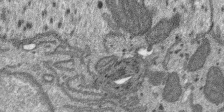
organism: Human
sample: Lung epithelial cells infected with SARS-CoV-2